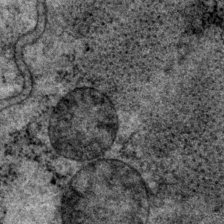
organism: P. pacificus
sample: Pharynx